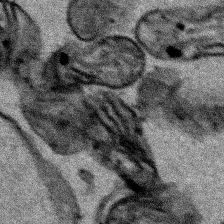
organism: Human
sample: Mitochondria in HCT116 cells